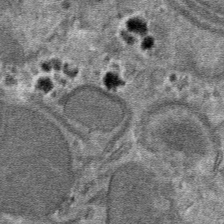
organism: Mouse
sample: Mouse hepatocytes